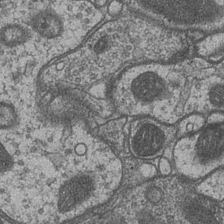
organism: Drosophila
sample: Optic medulla